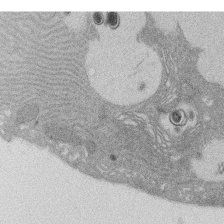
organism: Rat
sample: Salivary granule